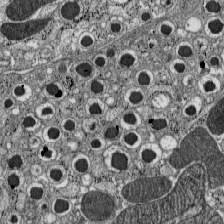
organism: C57BL Mouse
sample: Pancreatic islet